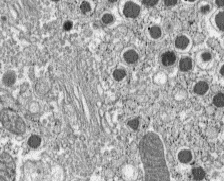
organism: C57BL Mouse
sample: Pancreatic islet